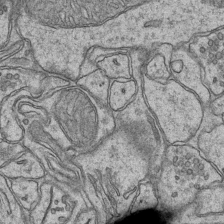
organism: Mouse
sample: CA1 Hippocampus